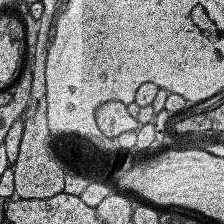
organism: Human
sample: Temporal Lobe